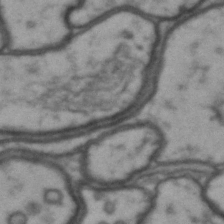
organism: Drosophila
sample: Brain